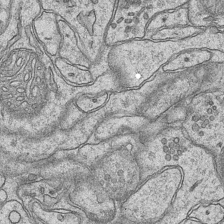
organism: Mouse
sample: CA1 Hippocampus